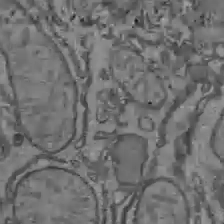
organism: C57BL Mouse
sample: Liver